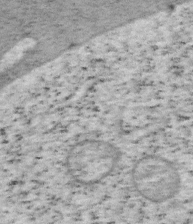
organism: Mouse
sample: OT-I killer T cells with ID8 ovarian cancer cells